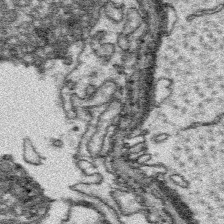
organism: Platynereis dumerilii